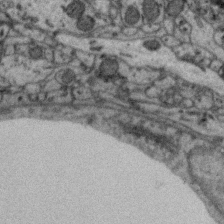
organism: Zebra finch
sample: Brain